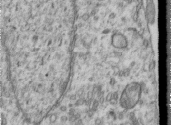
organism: Human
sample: Centriole in RPE cells